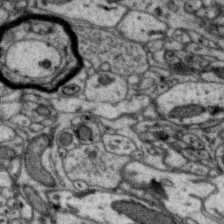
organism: Zebra finch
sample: Brain